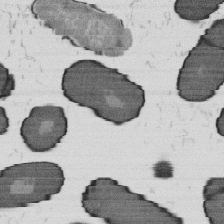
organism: B. subtilis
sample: Bacterial spore